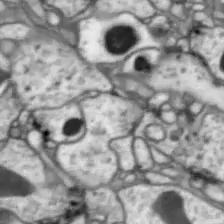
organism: Drosophila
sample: Optic lobe